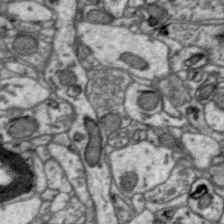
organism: Zebra finch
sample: Brain